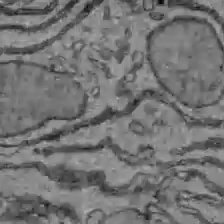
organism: C57BL Mouse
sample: Liver